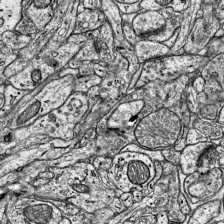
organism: Mouse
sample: Visual Cortex